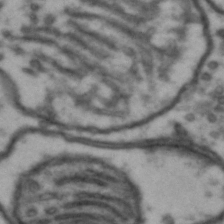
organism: Drosophila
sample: Brain